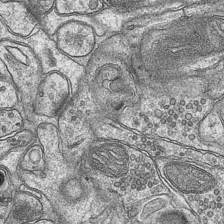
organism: Mouse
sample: CA1 Hippocampus